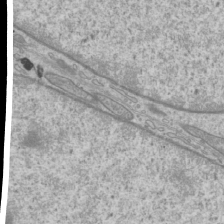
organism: Mouse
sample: Cilia; mouse epididymis